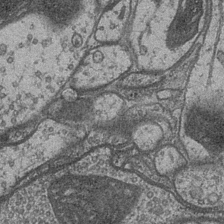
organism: Drosophila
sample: Optic medulla